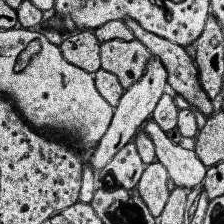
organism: Human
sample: Temporal Lobe